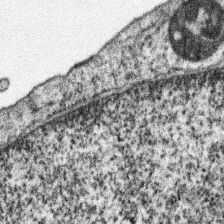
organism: Human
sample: HeLa cells